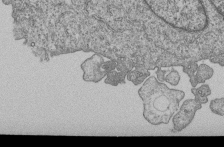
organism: Human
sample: MDA-MB-231 cells